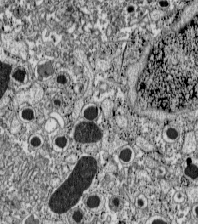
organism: C57BL Mouse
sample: Pancreatic islet